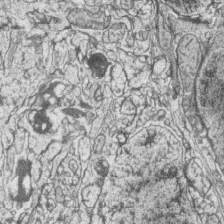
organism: Zebrafish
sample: synaptic ribbons in rod cells and cone cells